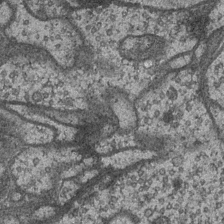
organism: Drosophila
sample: Optic medulla